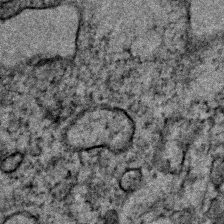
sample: Trachea